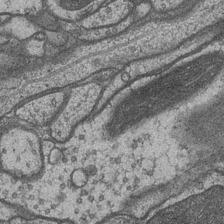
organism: Drosophila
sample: Optic medulla